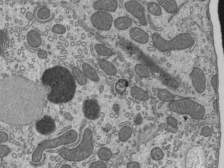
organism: Mouse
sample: Mouse epididymis efferent ductule cilia